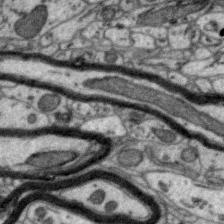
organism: Zebra finch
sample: Brain